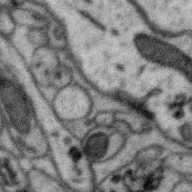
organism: Zebra finch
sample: Brain